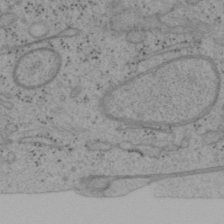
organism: Human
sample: HeLa cells